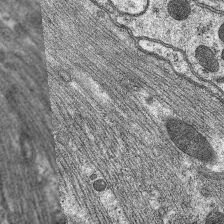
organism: C. elegans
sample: Pharynx